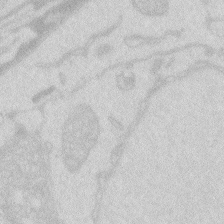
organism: Zebrafish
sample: Macrophage